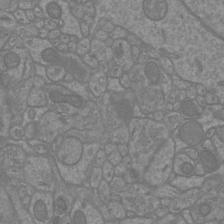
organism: Mouse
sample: Cortical neurons